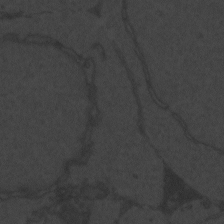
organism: Zebrafish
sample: Macrophage infected with Toxoplasma gondii